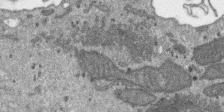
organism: Human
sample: Lung epithelial cells infected with SARS-CoV-2